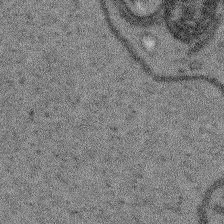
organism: Arabidopsis thaliana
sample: Root tip